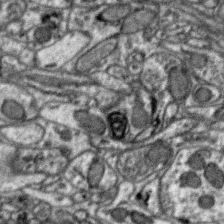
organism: Zebra finch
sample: Brain